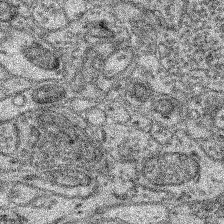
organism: Mouse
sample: Retina